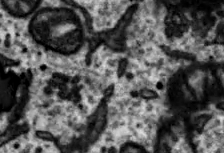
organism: Human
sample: HeLa cells